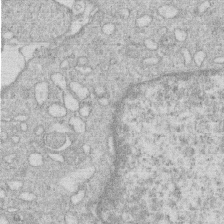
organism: Human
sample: Macrophage cells